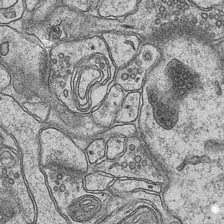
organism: Mouse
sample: CA1 Hippocampus